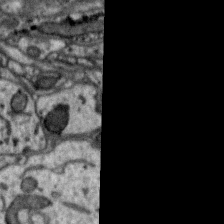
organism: Zebra finch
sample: Brain